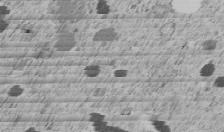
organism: C. elegans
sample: C. elegans embryo early stage